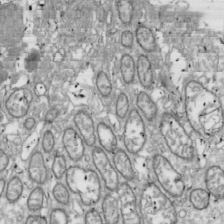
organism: Drosophila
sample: Cell division; meiosis; drosophila spermatocytes